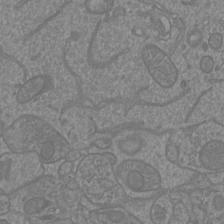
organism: Mouse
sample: Cortical neurons